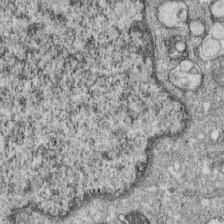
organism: African green monkey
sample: Vero E6 cells infected with SARS-CoV-2